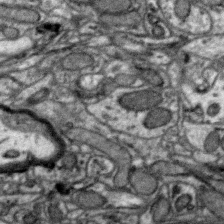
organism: Zebra finch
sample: Brain